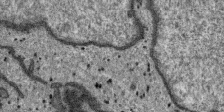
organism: Human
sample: Lung epithelial cells, uninfected (mock) control